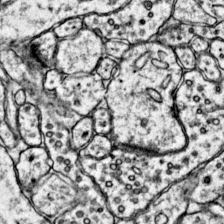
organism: Mouse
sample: Primary visual cortex